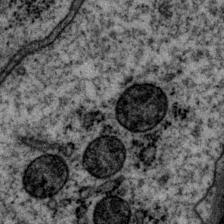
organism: P. pacificus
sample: Pharynx